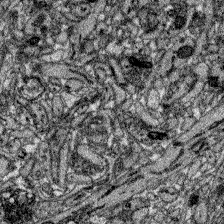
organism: Zebrafish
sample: Larval olfactory bulb